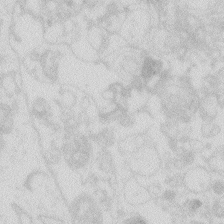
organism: Zebrafish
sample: Macrophage